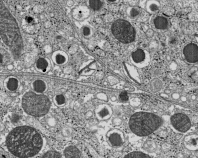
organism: C57BL Mouse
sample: Pancreatic islet